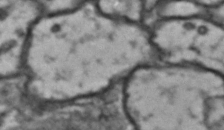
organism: Drosophila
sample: Brain